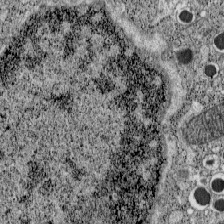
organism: C57BL Mouse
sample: Pancreatic islet